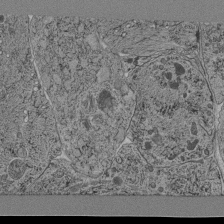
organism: C. elegans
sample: C. elegans pharynx